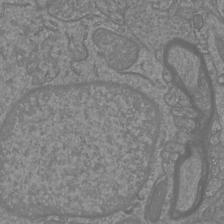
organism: Mouse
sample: Cortical neurons